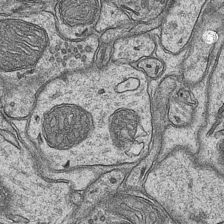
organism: Mouse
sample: CA1 Hippocampus